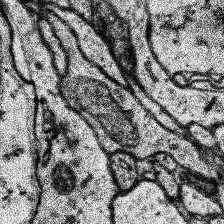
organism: Human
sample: Temporal Lobe